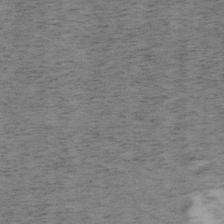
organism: Mouse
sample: OT-I killer T cells with ID8 ovarian cancer cells